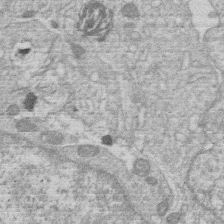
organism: Human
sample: Macrophage cells